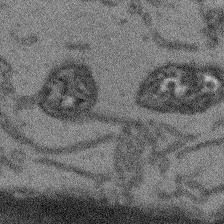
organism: Arabidopsis thaliana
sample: Root tip